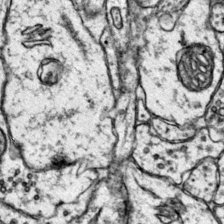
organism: Mouse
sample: Primary visual cortex